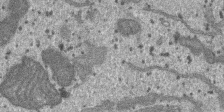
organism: Human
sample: Lung epithelial cells infected with SARS-CoV-2